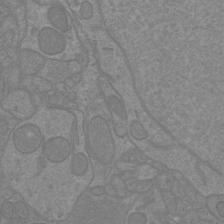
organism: Mouse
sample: Cortical neurons